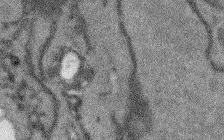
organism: Arabidopsis thaliana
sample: Root tip